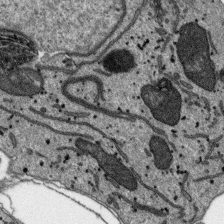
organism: Human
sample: Lung epithelial cells, uninfected (mock) control